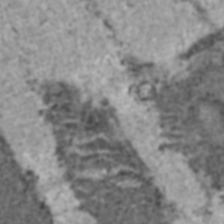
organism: C57BL Mouse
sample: Heart